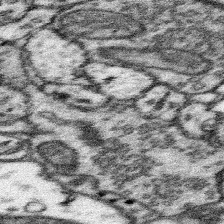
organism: Mouse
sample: Somatosensory cortex neuropil